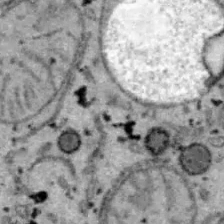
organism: Mouse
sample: Liver from an obese (ob/ob) mouse